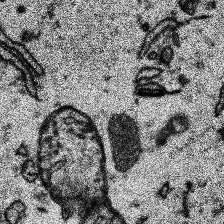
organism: Human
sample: Temporal Lobe